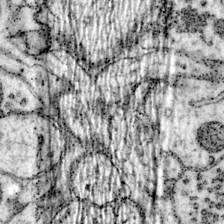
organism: Mouse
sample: Primary visual cortex